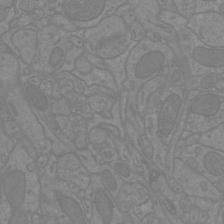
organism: Mouse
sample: Cortical neurons